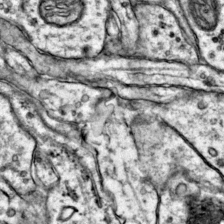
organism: Mouse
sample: Primary visual cortex